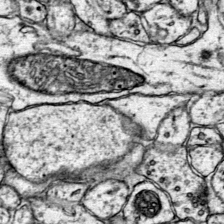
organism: Mouse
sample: Primary visual cortex